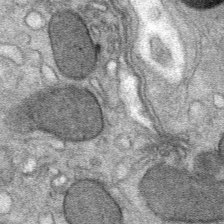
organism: Mouse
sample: Mouse Salivary gland